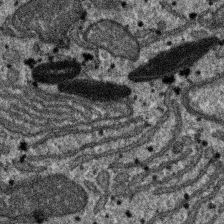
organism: Human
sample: Lung epithelial cells infected with SARS-CoV-2